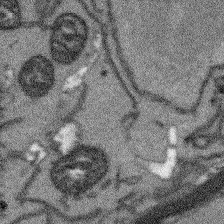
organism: Arabidopsis thaliana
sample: Root tip